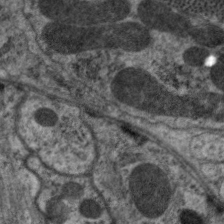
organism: C. elegans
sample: Pharynx